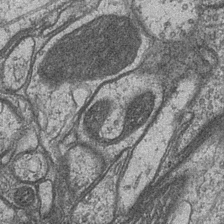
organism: Drosophila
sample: Optic medulla